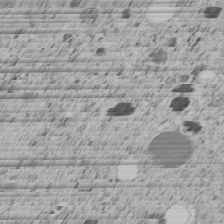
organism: C. elegans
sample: C. elegans embryo early stage